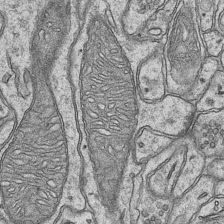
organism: Mouse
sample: CA1 Hippocampus